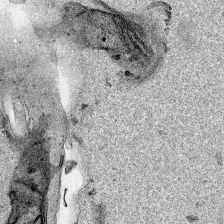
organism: Human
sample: Mitochondria in HCT116 cells